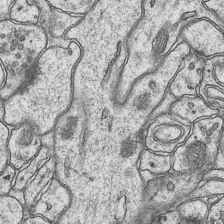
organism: Mouse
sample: CA1 Hippocampus